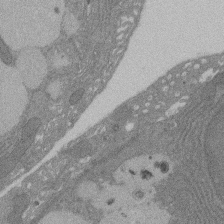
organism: Rat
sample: Salivary granule